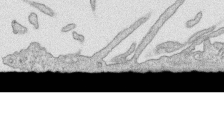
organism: Human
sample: HeLa cell HIV synapse